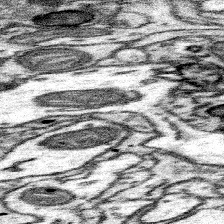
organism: Mouse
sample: Somatosensory cortex neuropil